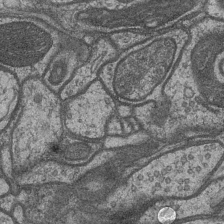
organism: Drosophila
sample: Optic medulla